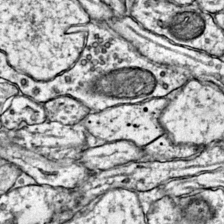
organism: Mouse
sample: Primary visual cortex